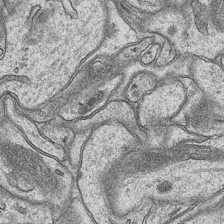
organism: Mouse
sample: CA1 Hippocampus